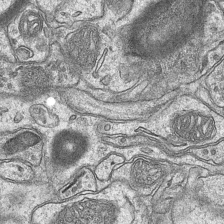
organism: Mouse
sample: CA1 Hippocampus